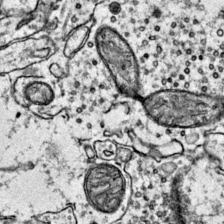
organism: Mouse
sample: Primary visual cortex